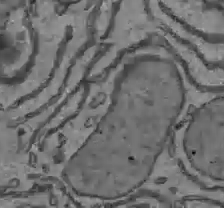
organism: C57BL Mouse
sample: Liver